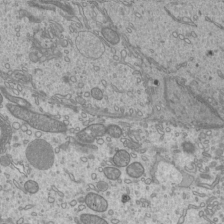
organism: Mouse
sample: Cilia; mouse epididymis